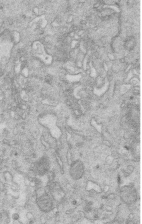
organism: Mouse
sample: Multiciliated cells